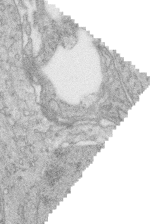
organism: Zebrafish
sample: synaptic ribbons in rod cells and cone cells